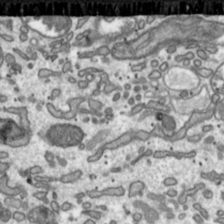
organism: Toxoplasma gondii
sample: Parasites in a vacuole inside a host cell